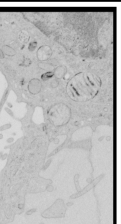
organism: Human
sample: Mitochondria in HCT116 cells